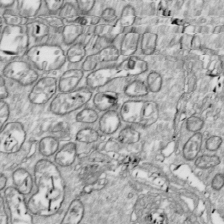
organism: Drosophila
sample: Cell division; meiosis; drosophila spermatocytes